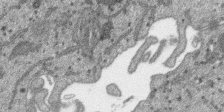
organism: Human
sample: Lung epithelial cells infected with SARS-CoV-2